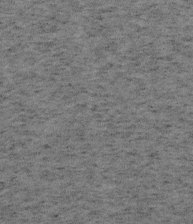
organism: Mouse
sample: OT-I killer T cells with ID8 ovarian cancer cells